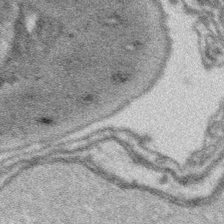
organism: Platynereis dumerilii